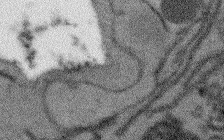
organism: Arabidopsis thaliana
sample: Root tip